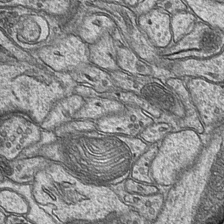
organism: Mouse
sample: CA1 Hippocampus